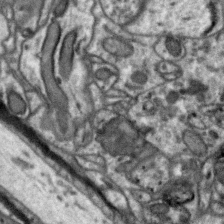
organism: Zebra finch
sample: Brain